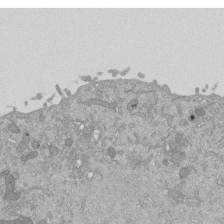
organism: Mouse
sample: ED-1 cell nuclei; centrioles